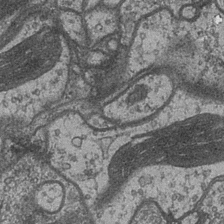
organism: Drosophila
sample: Optic medulla